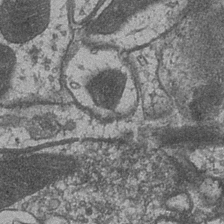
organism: Drosophila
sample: Optic medulla